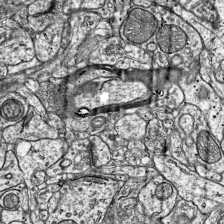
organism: Mouse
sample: Visual Cortex